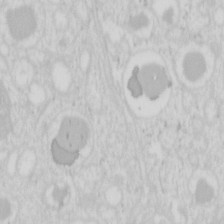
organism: Mouse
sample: Pancreas